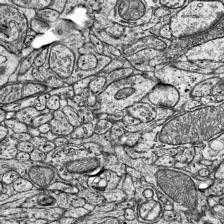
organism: Mouse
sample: Visual Cortex